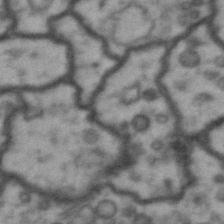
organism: Drosophila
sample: Brain